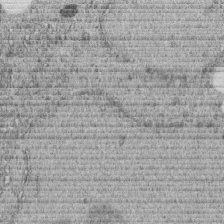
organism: C. elegans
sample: C. elegans embryo early stage